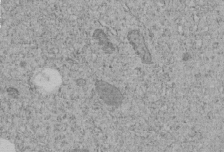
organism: C. elegans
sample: C. elegans embryo early stage